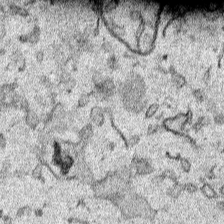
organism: Human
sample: Mitochondria in HCT116 cells